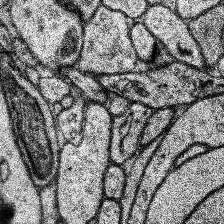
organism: Human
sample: Temporal Lobe